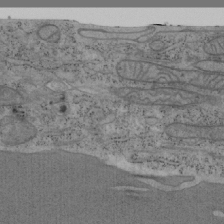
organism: Human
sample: HeLa cells